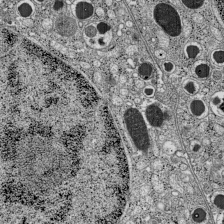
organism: C57BL Mouse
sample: Pancreatic islet